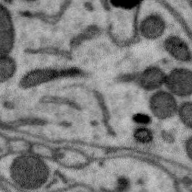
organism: Zebra finch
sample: Brain